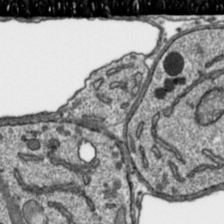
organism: Toxoplasma gondii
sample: Parasites in a vacuole inside a host cell